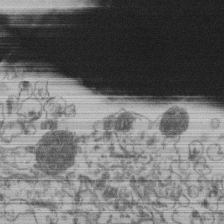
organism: Human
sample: Retinal organoid Rod and Cone cells